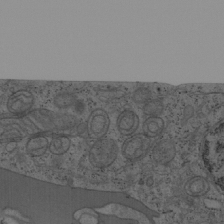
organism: Human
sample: HeLa cells